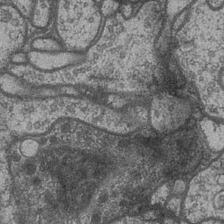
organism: Drosophila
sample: Optic medulla